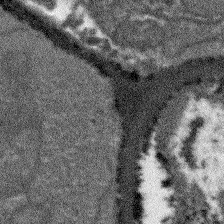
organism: Arabidopsis thaliana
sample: Root tip